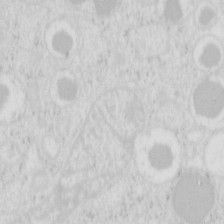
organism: Mouse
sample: Pancreas